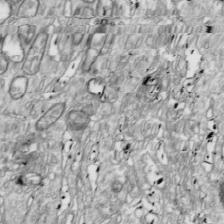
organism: Drosophila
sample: Cell division; meiosis; drosophila spermatocytes